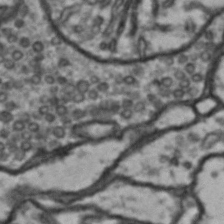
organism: Drosophila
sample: Brain